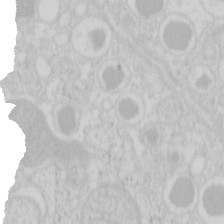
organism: Mouse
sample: Pancreas